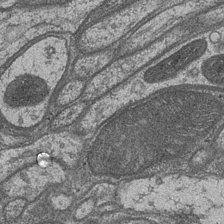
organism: Drosophila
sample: Optic medulla